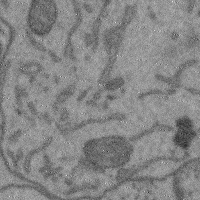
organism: Mouse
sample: Cerebral cortex